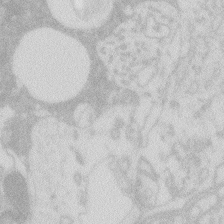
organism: Zebrafish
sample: Macrophage